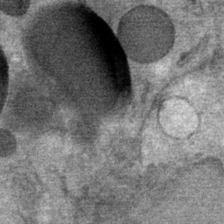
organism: Mouse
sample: Mouse Salivary gland